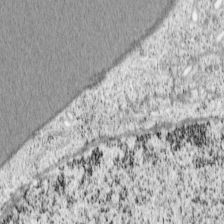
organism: African green monkey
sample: COS-7 cells